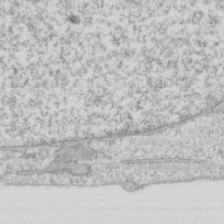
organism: Human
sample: Fibroblast cells